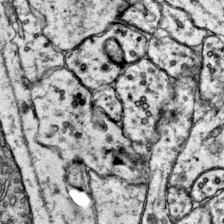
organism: Mouse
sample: Primary visual cortex